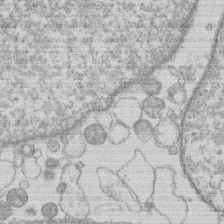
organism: Human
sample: Macrophage cells